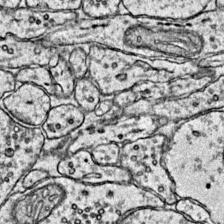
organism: Mouse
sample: Primary visual cortex